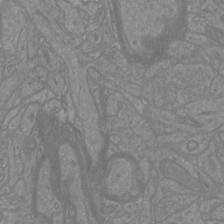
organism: Mouse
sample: Cortical neurons